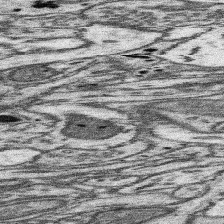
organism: Mouse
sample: Somatosensory cortex neuropil